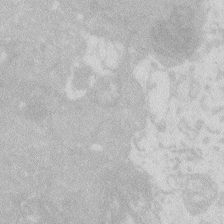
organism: Zebrafish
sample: Macrophage